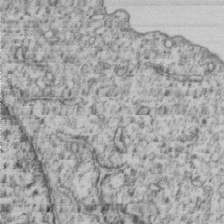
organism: Human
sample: MDA-MB-231 cells